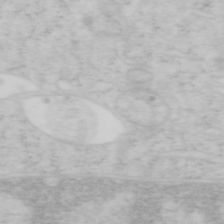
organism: Mouse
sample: OT-I killer T cells with ID8 ovarian cancer cells